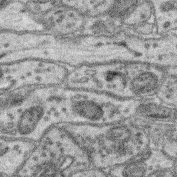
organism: Mouse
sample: Retina